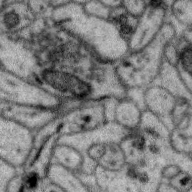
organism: Zebra finch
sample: Brain